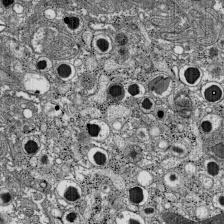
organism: C57BL Mouse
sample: Pancreatic islet